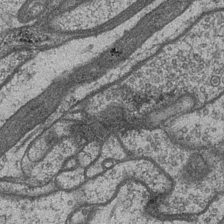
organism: Drosophila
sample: Optic medulla